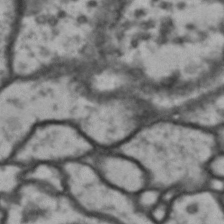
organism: Drosophila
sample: Brain